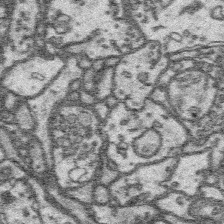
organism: Platynereis dumerilii